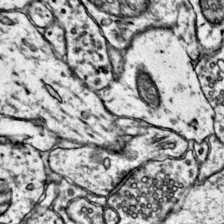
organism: Mouse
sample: Primary visual cortex